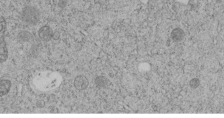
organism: C. elegans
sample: C. elegans embryo early stage